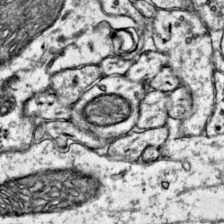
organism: Mouse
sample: Primary visual cortex